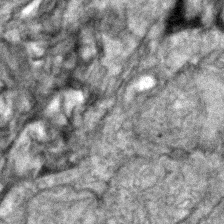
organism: Zebrafish